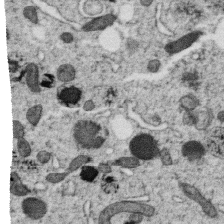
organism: C. elegans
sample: C. elegans oocyte; sperm cells